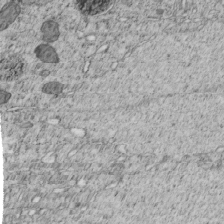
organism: C. elegans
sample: C. elegans embryo early stage